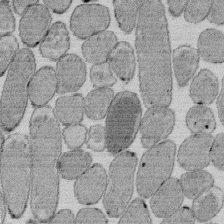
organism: E. coli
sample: Bacterial nucleoid